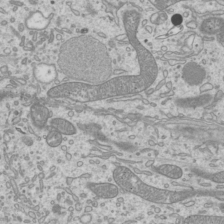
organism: Mouse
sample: Cilia; mouse epididymis